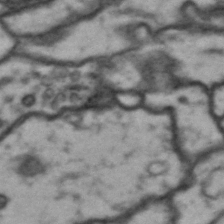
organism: Drosophila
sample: Brain